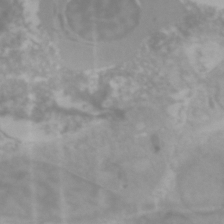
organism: Zebrafish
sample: Zebrafish embryo